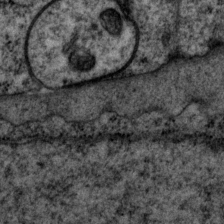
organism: P. pacificus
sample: Pharynx